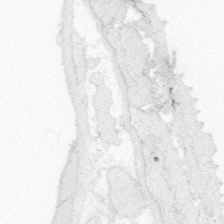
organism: Zebrafish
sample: Whole-Brain